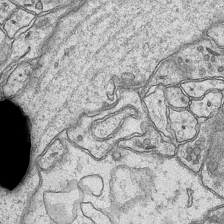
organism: Mouse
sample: CA1 Hippocampus